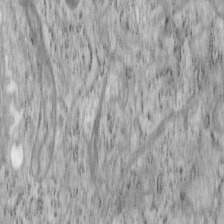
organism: Human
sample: HeLa cells